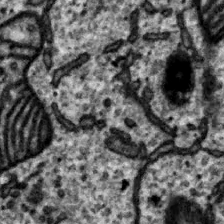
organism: Human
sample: HeLa cells